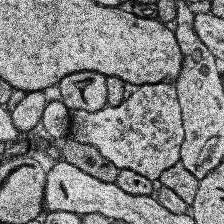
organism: Human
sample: Temporal Lobe